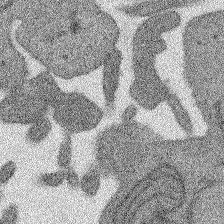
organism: Human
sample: HeLa cells